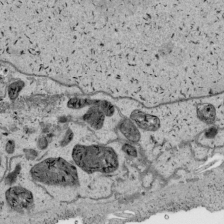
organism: Human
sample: Mitochondria in HCT116 cells